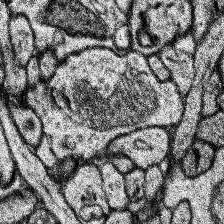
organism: Human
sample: Temporal Lobe